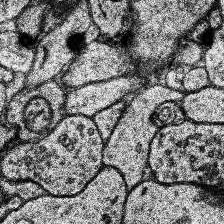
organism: Human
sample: Temporal Lobe